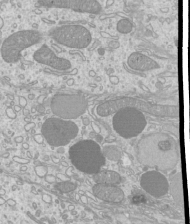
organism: Mouse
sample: Cilia; mouse epididymis